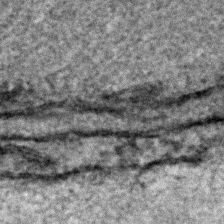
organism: C. elegans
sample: C. elegans embryo